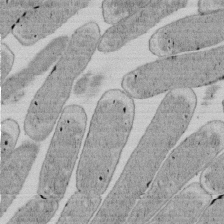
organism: E. coli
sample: Bacterial nucleoid